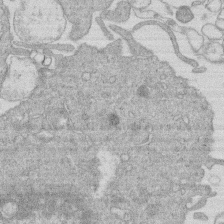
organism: Human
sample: Macrophage cells